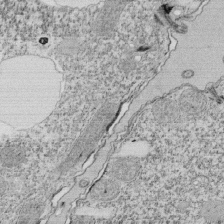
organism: Tetrahymena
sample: Cilia in tetrahymena